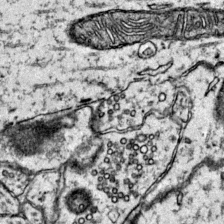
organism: Mouse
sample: Primary visual cortex